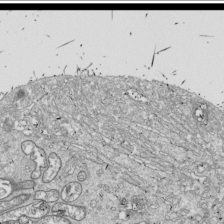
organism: Drosophila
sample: Cell division; meiosis; drosophila spermatocytes